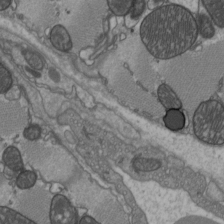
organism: C57BL Mouse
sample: Heart